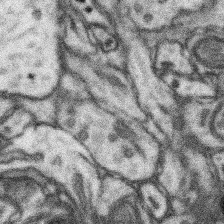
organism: Mouse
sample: Somatosensory cortex neuropil